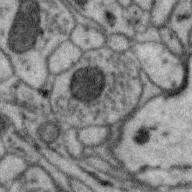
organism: Zebra finch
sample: Brain